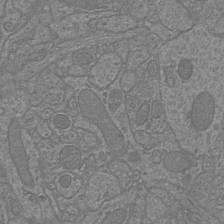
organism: Mouse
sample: Cortical neurons